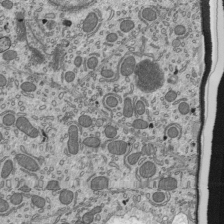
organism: Mouse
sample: Mouse epididymis efferent ductule cilia